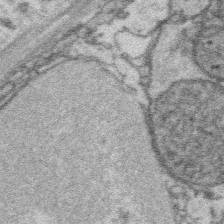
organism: Platynereis dumerilii